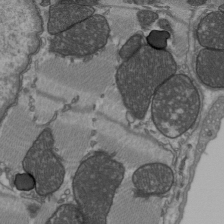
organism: C57BL Mouse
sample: Heart